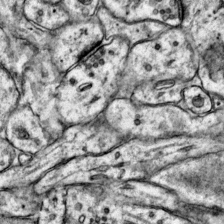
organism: Mouse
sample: Primary visual cortex